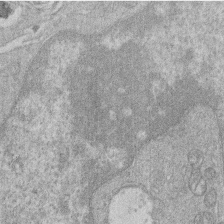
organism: Human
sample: Macrophage cells